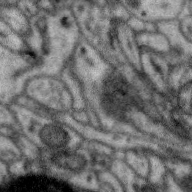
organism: Zebra finch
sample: Brain